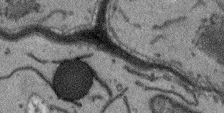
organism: Arabidopsis thaliana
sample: Root tip